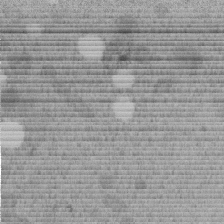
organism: C. elegans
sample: C. elegans embryo early stage